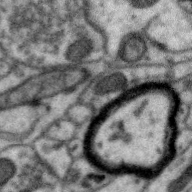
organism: Zebra finch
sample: Brain